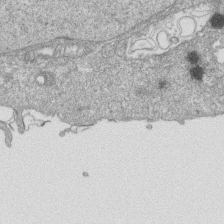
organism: Human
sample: HeLa cell HIV synapse